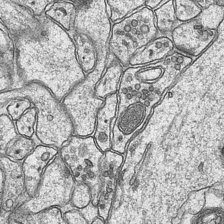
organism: Mouse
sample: CA1 Hippocampus